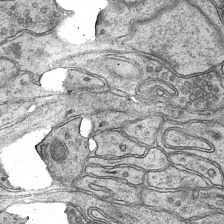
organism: Mouse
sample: CA1 Hippocampus